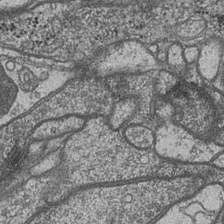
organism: Drosophila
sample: Optic medulla